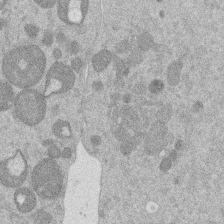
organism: Mouse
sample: Dividing mouse embryo 1 cell stage